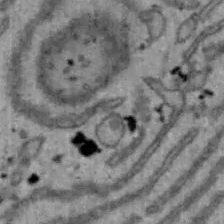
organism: Mouse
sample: Liver